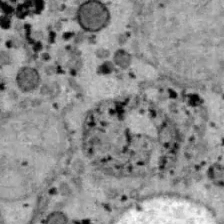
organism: Mouse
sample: Liver from an obese (ob/ob) mouse